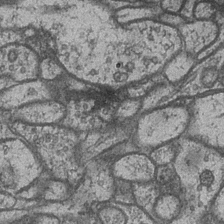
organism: Drosophila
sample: Optic medulla